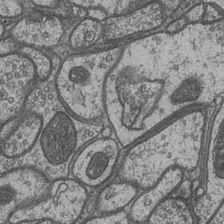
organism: Drosophila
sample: Optic medulla